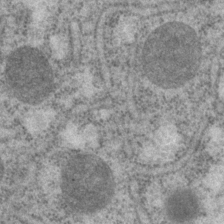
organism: P. pacificus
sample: Pharynx